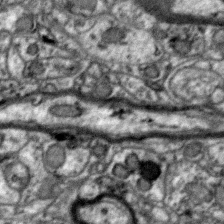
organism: Zebra finch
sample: Brain